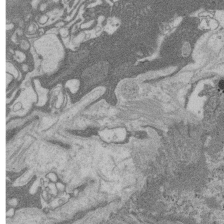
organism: Rat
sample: Salivary granule